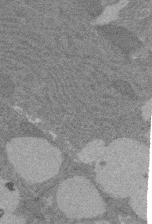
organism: Rat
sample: Salivary granule